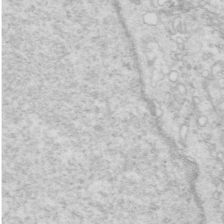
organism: Mouse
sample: Multiciliated cells